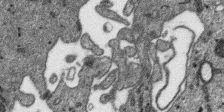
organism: Human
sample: Lung epithelial cells infected with SARS-CoV-2